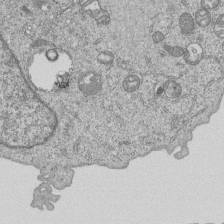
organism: Human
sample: MDA-MB-231 cells